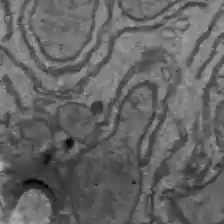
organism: C57BL Mouse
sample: Liver